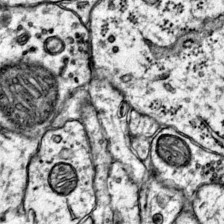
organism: Mouse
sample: Primary visual cortex